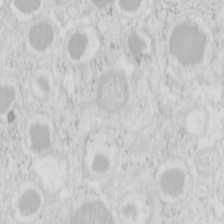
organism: Mouse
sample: Pancreas